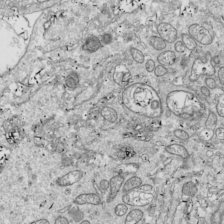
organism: Drosophila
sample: Cell division; meiosis; drosophila spermatocytes